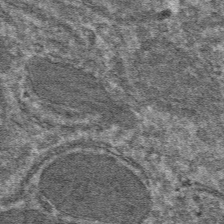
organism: Mouse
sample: Mouse hepatocytes